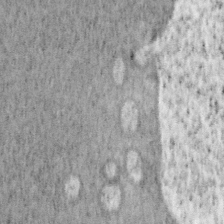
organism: Mouse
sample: OT-I killer T cells with ID8 ovarian cancer cells